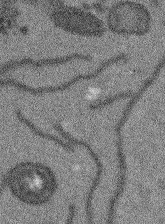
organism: Arabidopsis thaliana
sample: Root tip